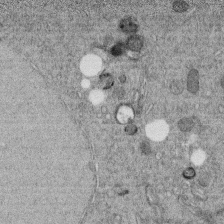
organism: C. elegans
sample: C. elegans embryo early stage